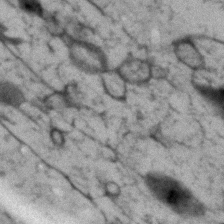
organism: Human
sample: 1205lu cells